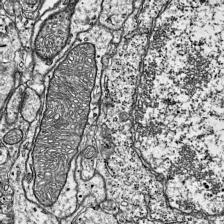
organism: Mouse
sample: Visual Cortex